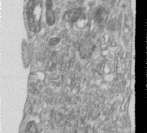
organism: Human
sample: Centriole in RPE cells